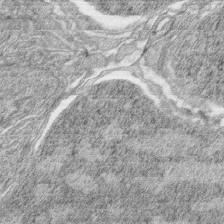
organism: Zebrafish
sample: synaptic ribbons in rod cells and cone cells